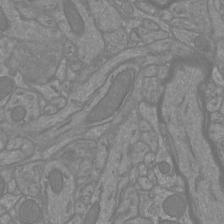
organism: Mouse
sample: Cortical neurons